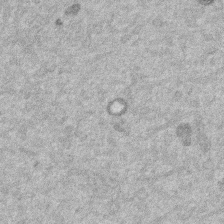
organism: Mouse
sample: Dividing mouse embryo 1 cell stage